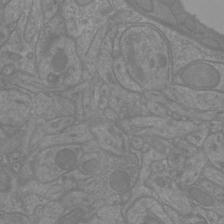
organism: Mouse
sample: Cortical neurons